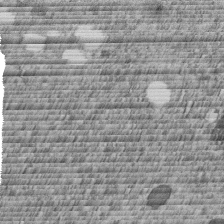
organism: C. elegans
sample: C. elegans embryo early stage